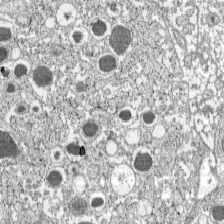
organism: C57BL Mouse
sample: Pancreatic islet